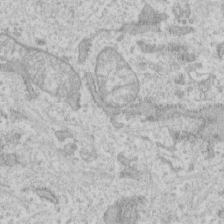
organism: Human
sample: Fibroblast cells